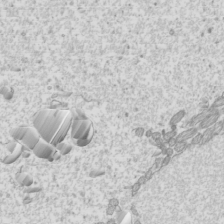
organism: Mouse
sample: Cilia; mouse epididymis